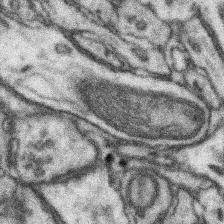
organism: Mouse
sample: Somatosensory cortex neuropil